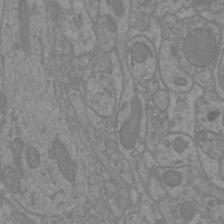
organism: Mouse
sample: Cortical neurons